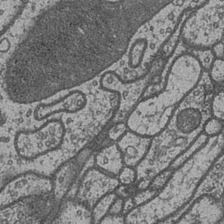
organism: Drosophila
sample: Optic medulla